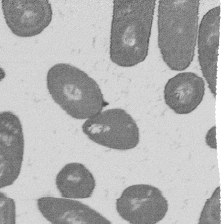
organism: B. subtilis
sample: Bacterial spore